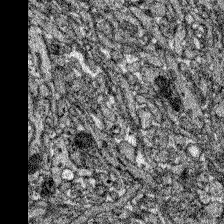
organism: Zebrafish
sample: Larval olfactory bulb